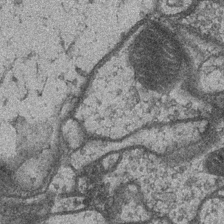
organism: Drosophila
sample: Optic medulla